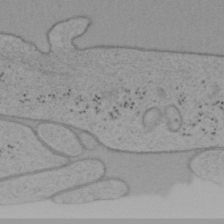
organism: Human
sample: HeLa cells